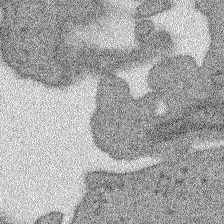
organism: Human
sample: HeLa cells